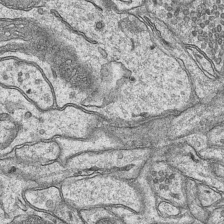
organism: Mouse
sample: CA1 Hippocampus